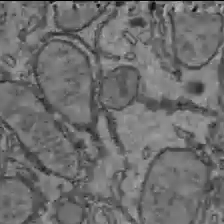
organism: C57BL Mouse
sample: Liver